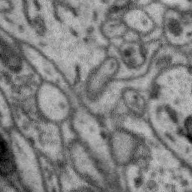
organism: Zebra finch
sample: Brain